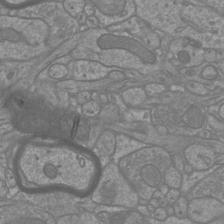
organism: Mouse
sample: Cortical neurons